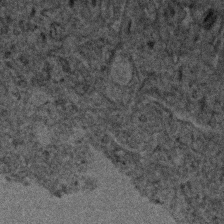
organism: Human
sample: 1205lu cells